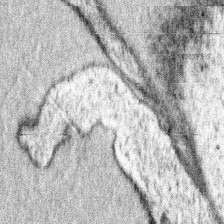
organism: Human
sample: HeLa cells